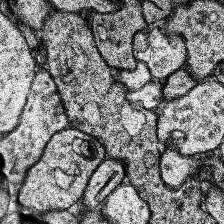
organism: Human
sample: Temporal Lobe